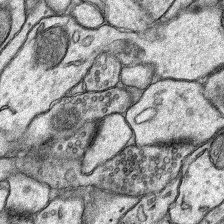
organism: Rat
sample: Hippocampus